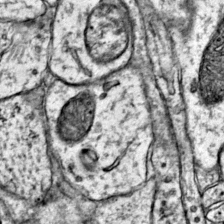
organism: Mouse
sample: Primary visual cortex